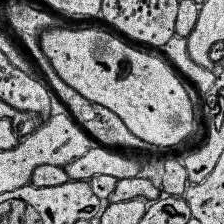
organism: Human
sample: Temporal Lobe